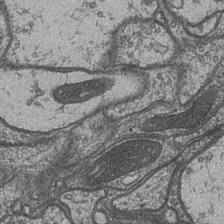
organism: Drosophila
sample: Optic medulla